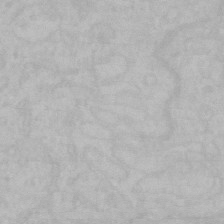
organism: Mouse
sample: Choroid plexus